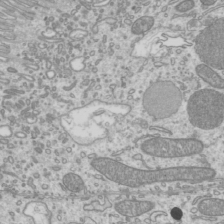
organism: Mouse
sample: Cilia; mouse epididymis